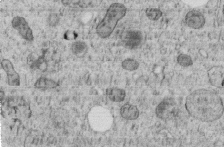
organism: C. elegans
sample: C. elegans embryo early stage